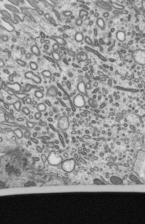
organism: Mouse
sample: Mouse epididymis efferent ductule cilia